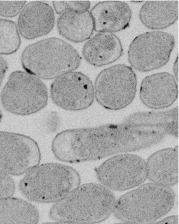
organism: E. coli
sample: Bacterial nucleoid